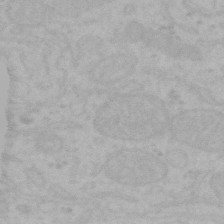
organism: Mouse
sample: Choroid plexus